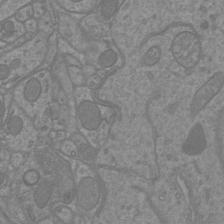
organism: Mouse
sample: Cortical neurons